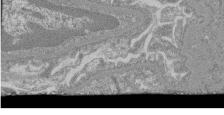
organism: Mouse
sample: Glomerulus